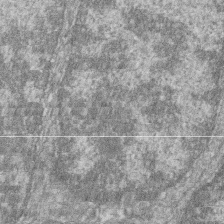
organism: Zebrafish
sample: Cilia; retinal pigment epithelium